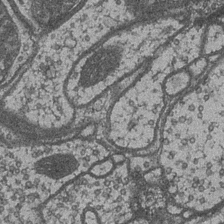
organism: Drosophila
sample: Optic medulla